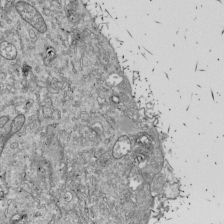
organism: Drosophila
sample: Cell division; meiosis; drosophila spermatocytes